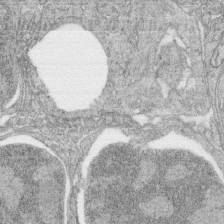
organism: Zebrafish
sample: synaptic ribbons in rod cells and cone cells